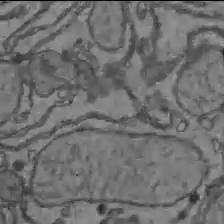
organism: C57BL Mouse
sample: Liver